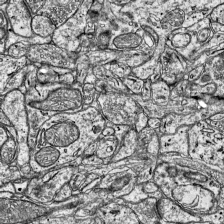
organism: Mouse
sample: Visual Cortex